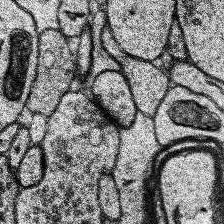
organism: Human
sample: Temporal Lobe